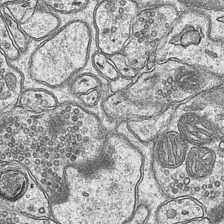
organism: Mouse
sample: CA1 Hippocampus